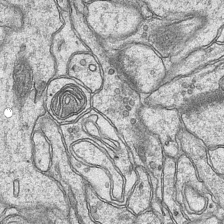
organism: Mouse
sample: CA1 Hippocampus